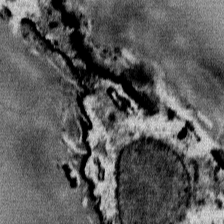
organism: Mouse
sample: Mouse Salivary gland